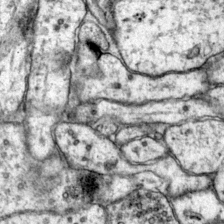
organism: Mouse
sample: Primary visual cortex